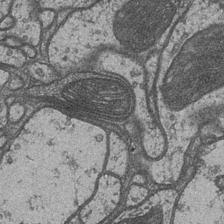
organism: Drosophila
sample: Optic medulla